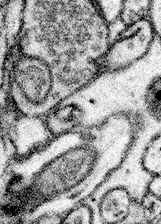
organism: Mouse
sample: Somatosensory cortex neuropil